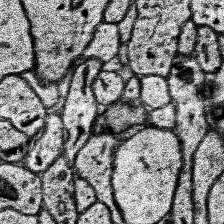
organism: Human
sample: Temporal Lobe